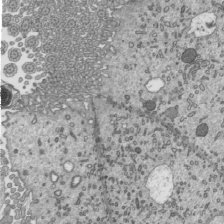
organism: Mouse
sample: Mouse epididymis efferent ductule cilia